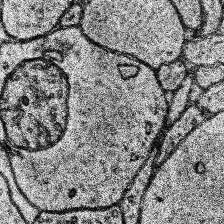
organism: Human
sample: Temporal Lobe